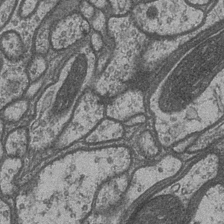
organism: Drosophila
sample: Optic medulla